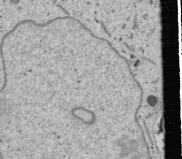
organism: Human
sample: Mitochondria in U2OS cells